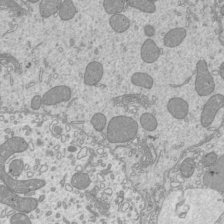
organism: Mouse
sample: Cilia; mouse epididymis